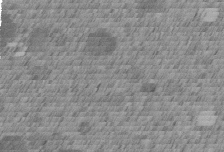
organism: C. elegans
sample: C. elegans embryo early stage